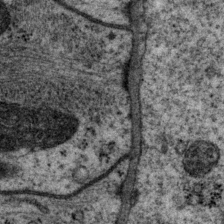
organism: P. pacificus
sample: Pharynx